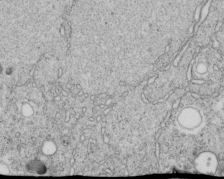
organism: C. elegans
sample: C. elegans embryo early stage